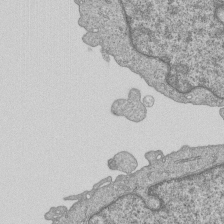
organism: Human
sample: MDA-MB-231 cells